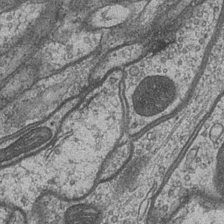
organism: Drosophila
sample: Optic medulla